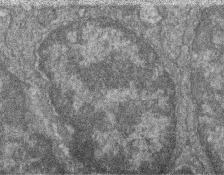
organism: Zebrafish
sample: Cilia; retinal pigment epithelium